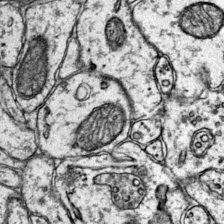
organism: Mouse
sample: Primary visual cortex